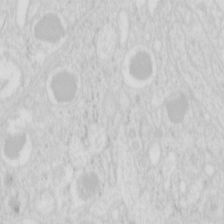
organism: Mouse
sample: Pancreas